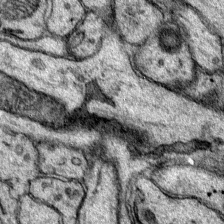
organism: Mouse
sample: Primary visual cortex